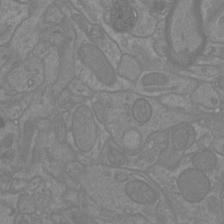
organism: Mouse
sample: Cortical neurons